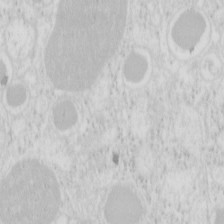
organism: Mouse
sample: Pancreas